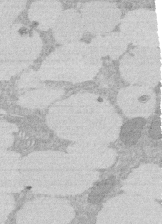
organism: Rat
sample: Salivary granule